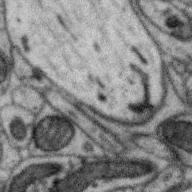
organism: Zebra finch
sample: Brain